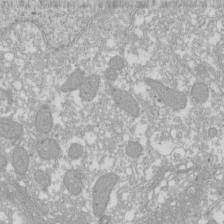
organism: Xenopus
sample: Cilia; centrioles in frog embryo cells